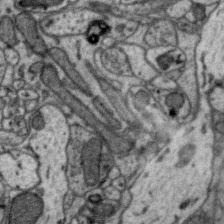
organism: Zebra finch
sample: Brain